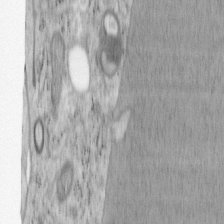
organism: Human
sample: HeLa cells